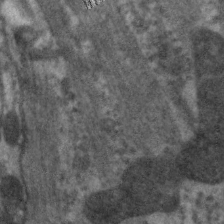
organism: C. elegans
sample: Pharynx